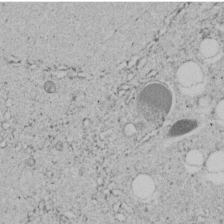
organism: C. elegans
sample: C. elegans embryo early stage